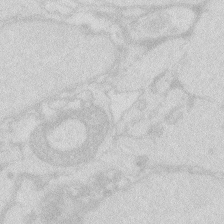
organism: Zebrafish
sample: Macrophage